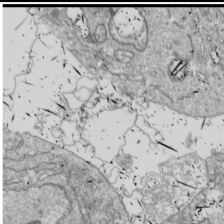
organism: Drosophila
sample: Cell division; meiosis; drosophila spermatocytes